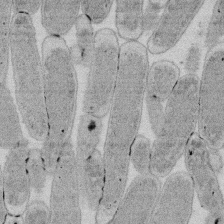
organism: E. coli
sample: Bacterial nucleoid